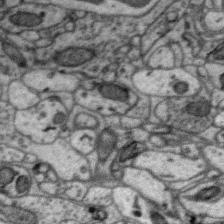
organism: Zebra finch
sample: Brain